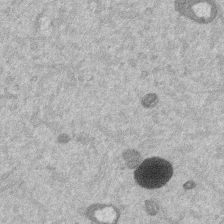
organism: Mouse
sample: Dividing mouse embryo 1 cell stage